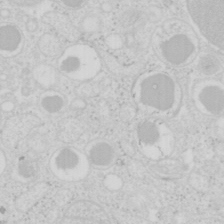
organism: Mouse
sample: Pancreas